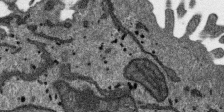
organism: Human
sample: Lung epithelial cells, uninfected (mock) control